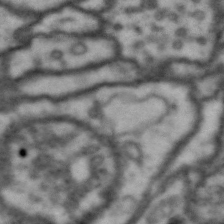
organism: Drosophila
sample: Brain